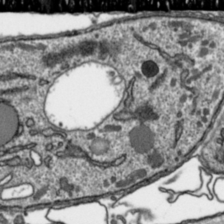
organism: Toxoplasma gondii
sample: Parasites in a vacuole inside a host cell